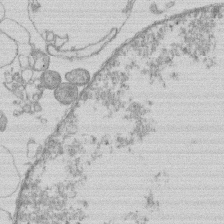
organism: Human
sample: Macrophage cells